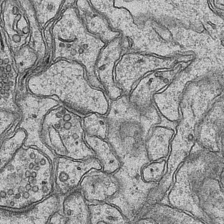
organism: Mouse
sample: CA1 Hippocampus